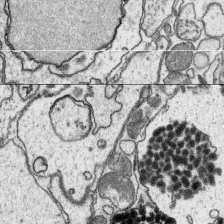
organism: Platynereis dumerilii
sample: Parapodia